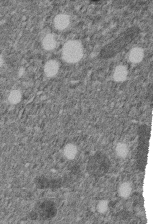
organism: C. elegans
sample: C. elegans embryo early stage